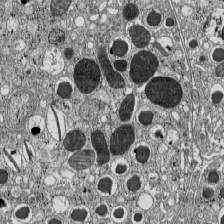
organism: C57BL Mouse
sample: Pancreatic islet